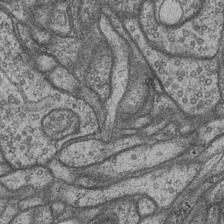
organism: Drosophila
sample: Optic medulla